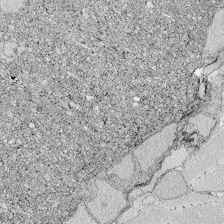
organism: Zebrafish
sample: Whole-Brain